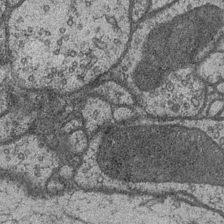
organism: Drosophila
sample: Optic medulla